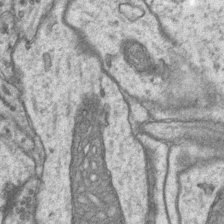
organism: Mouse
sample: CA1 Hippocampus